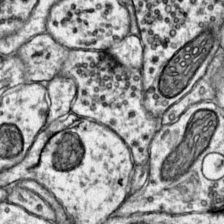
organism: Mouse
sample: Primary visual cortex